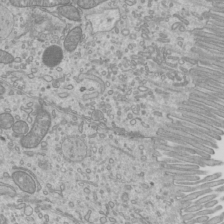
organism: Mouse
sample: Cilia; mouse epididymis